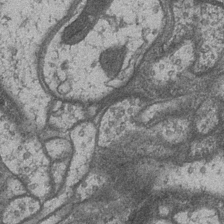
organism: Drosophila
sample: Optic medulla